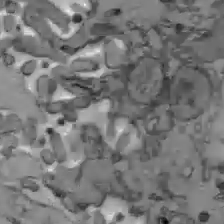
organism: C57BL Mouse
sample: Liver